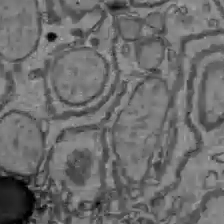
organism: C57BL Mouse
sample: Liver